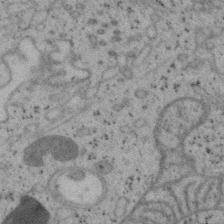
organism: Human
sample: HeLa cells